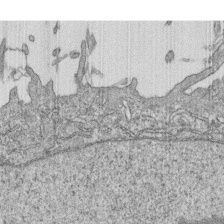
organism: Human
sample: HeLa cell HIV synapse